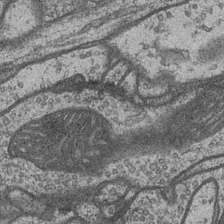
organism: Drosophila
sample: Optic medulla